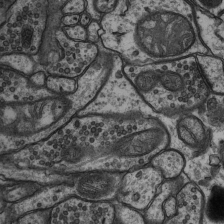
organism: Rat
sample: Hippocampus